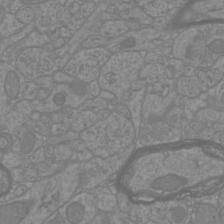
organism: Mouse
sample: Cortical neurons